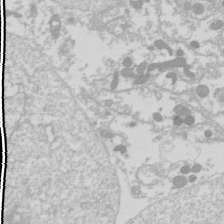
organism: Drosophila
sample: Cell division; meiosis; drosophila spermatocytes